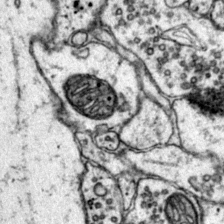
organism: Mouse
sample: Primary visual cortex